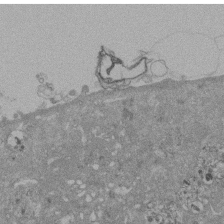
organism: Mouse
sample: ED-1 cell nuclei; centrioles